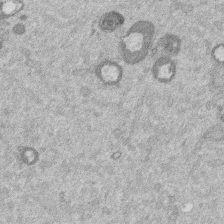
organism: Mouse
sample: Dividing mouse embryo 1 cell stage